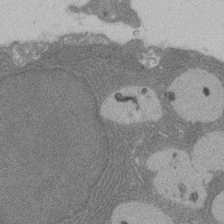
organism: Rat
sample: Salivary granule